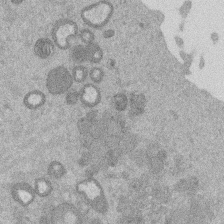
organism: Mouse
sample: Dividing mouse embryo 1 cell stage